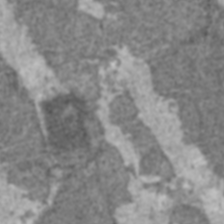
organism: C57BL Mouse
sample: Heart